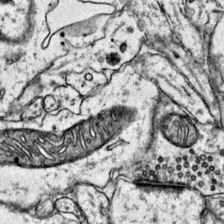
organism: Mouse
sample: Primary visual cortex